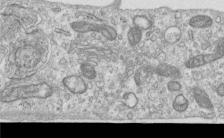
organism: Human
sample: Centriole in RPE cells